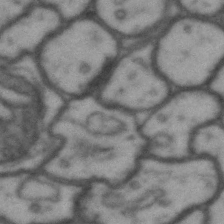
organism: Drosophila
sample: Brain